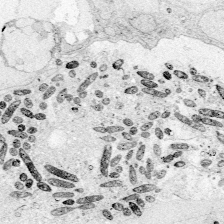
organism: Zebrafish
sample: Whole-Brain